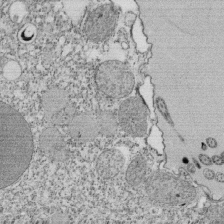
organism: Tetrahymena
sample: Cilia in tetrahymena